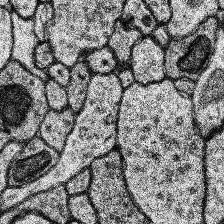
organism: Human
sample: Temporal Lobe